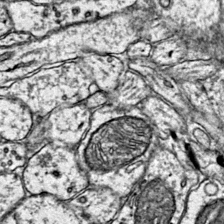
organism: Mouse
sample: Primary visual cortex